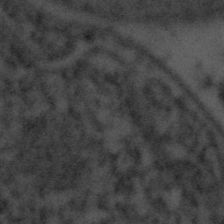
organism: Tuwongella immobilis